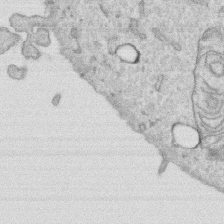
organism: Human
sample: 1205lu cells